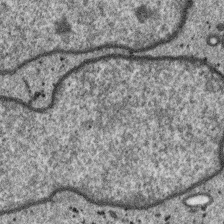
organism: Human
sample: Lung epithelial cells infected with SARS-CoV-2